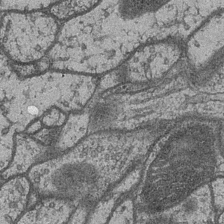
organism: Drosophila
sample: Optic medulla